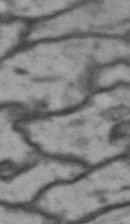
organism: Drosophila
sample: Brain